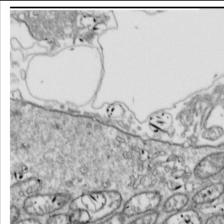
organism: Drosophila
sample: Cell division; meiosis; drosophila spermatocytes